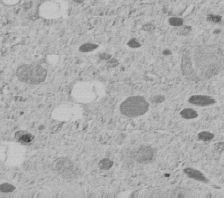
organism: C. elegans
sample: C. elegans embryo early stage